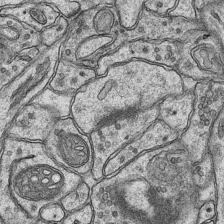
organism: Mouse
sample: CA1 Hippocampus